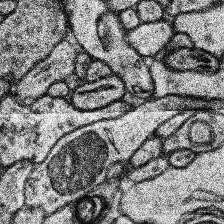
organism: Human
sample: Temporal Lobe